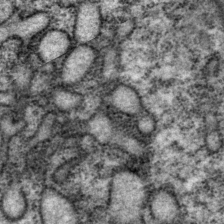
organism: P. pacificus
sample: Pharynx